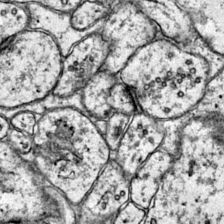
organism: Mouse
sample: Primary visual cortex